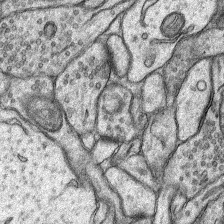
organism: Rat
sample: Hippocampus